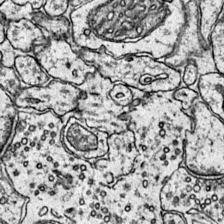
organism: Mouse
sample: Primary visual cortex